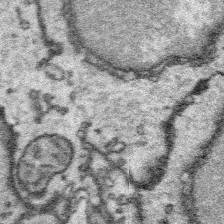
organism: Platynereis dumerilii